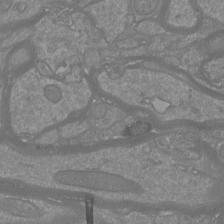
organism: Mouse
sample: Cortical neurons